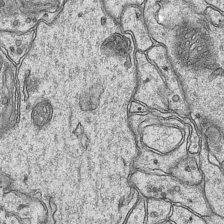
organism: Mouse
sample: CA1 Hippocampus